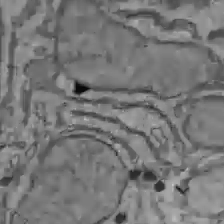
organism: C57BL Mouse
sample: Liver